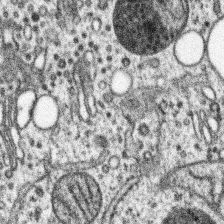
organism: Human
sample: HeLa cells